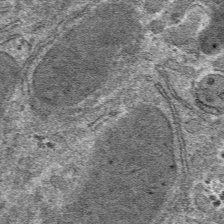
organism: Mouse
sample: Mouse hepatocytes